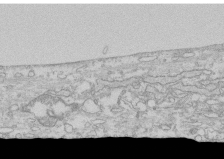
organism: Human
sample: CRL-1474